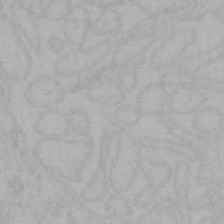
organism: Mouse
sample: Choroid plexus